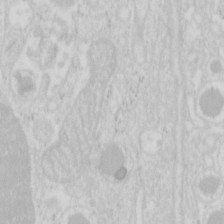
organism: Mouse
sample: Pancreas